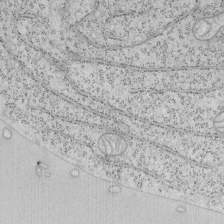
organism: Mouse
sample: OT-I killer T cells with ID8 ovarian cancer cells